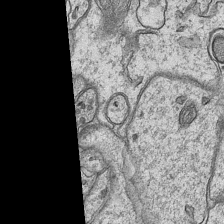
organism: Mouse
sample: CA1 Hippocampus